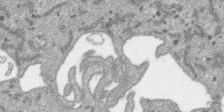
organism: Human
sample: Lung epithelial cells infected with SARS-CoV-2